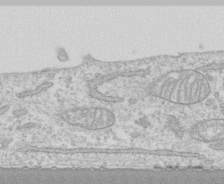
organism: Human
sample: CRL-1474